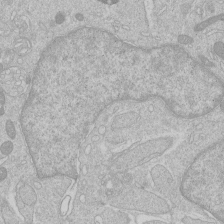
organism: Human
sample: Macrophage cells